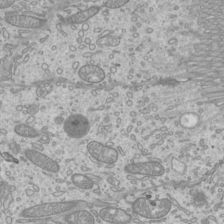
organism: Mouse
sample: Cilia; mouse epididymis